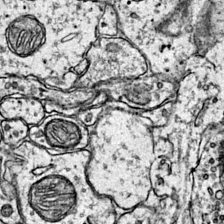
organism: Mouse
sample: Primary visual cortex